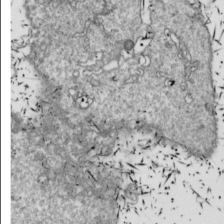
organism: Drosophila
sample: Cell division; meiosis; drosophila spermatocytes